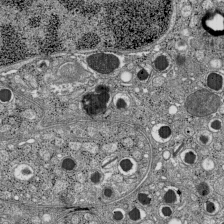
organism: C57BL Mouse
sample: Pancreatic islet